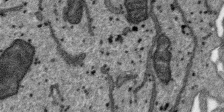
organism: Human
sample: Lung epithelial cells, uninfected (mock) control